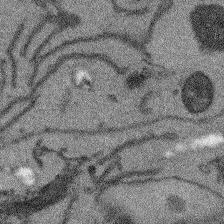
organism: Arabidopsis thaliana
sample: Root tip